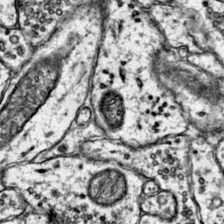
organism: Mouse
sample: Primary visual cortex